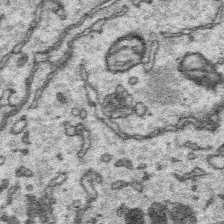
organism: Platynereis dumerilii